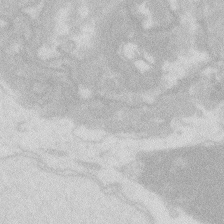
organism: Zebrafish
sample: Macrophage